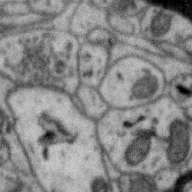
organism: Zebra finch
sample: Brain